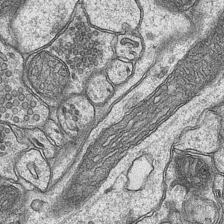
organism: Mouse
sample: CA1 Hippocampus